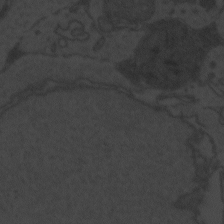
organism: Zebrafish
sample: Macrophage infected with Toxoplasma gondii